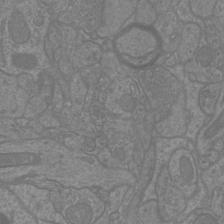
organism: Mouse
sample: Cortical neurons